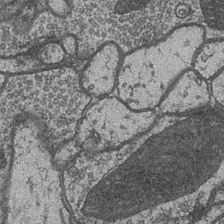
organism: Drosophila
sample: Optic medulla